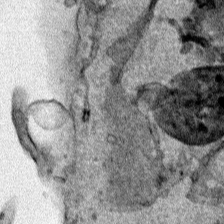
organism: Human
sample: Mitochondria in HCT116 cells